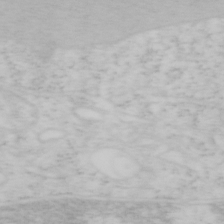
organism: Mouse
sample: OT-I killer T cells with ID8 ovarian cancer cells